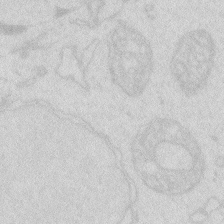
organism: Zebrafish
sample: Macrophage